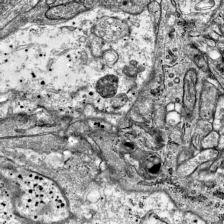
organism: Mouse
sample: Visual Cortex